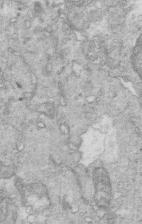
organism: Mouse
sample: Multiciliated cells